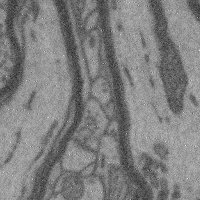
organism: Mouse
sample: Cerebral cortex